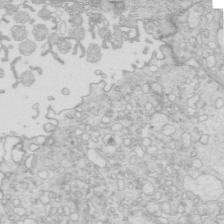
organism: Mouse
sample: Multiciliated cells